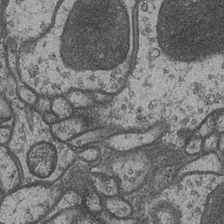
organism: Drosophila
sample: Optic medulla